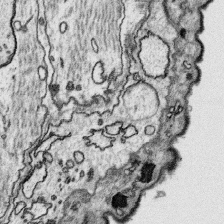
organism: Platynereis dumerilii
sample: Parapodia